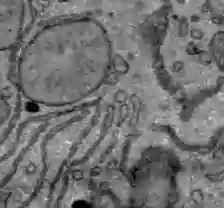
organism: C57BL Mouse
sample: Liver